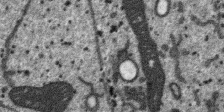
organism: Human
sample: Lung epithelial cells infected with SARS-CoV-2